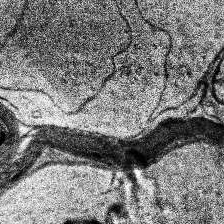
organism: Human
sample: Temporal Lobe